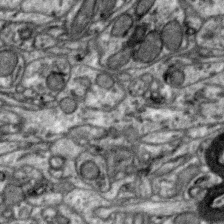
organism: Zebra finch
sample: Brain